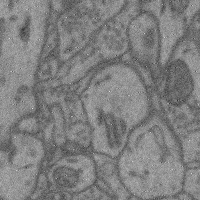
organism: Mouse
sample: Cerebral cortex